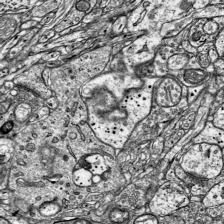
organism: Mouse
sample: Visual Cortex